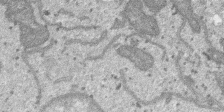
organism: Human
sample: Lung epithelial cells infected with SARS-CoV-2